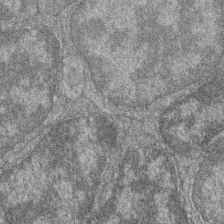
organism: Zebrafish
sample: Cilia; retinal pigment epithelium